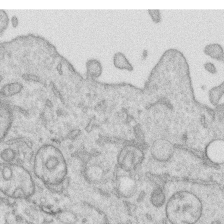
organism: Human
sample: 1205lu cells